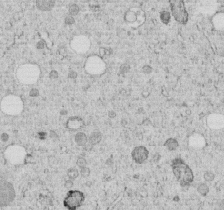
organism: C. elegans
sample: C. elegans embryo early stage